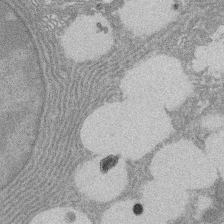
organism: Rat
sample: Salivary granule